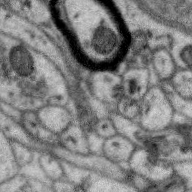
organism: Zebra finch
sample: Brain